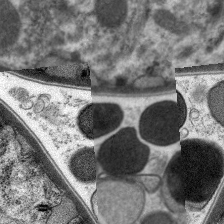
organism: C. elegans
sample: Pharynx